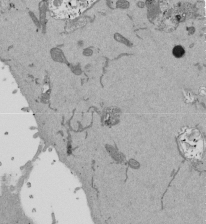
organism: Mouse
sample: ED-1 cell nuclei; centrioles